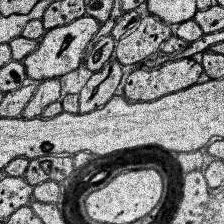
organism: Human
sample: Temporal Lobe